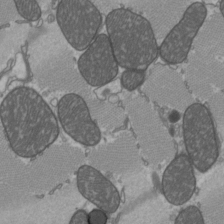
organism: C57BL Mouse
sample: Heart